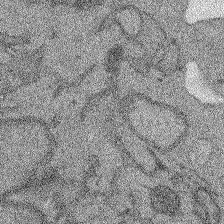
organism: Human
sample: HeLa cells